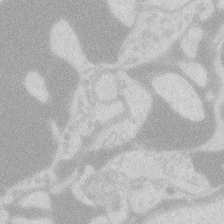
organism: Zebrafish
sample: Macrophage